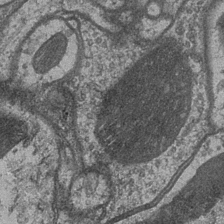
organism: Drosophila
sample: Optic medulla